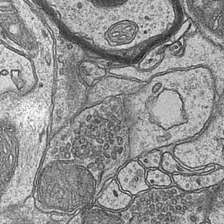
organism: Mouse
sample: CA1 Hippocampus